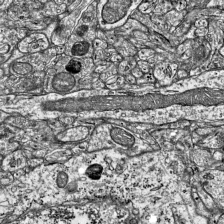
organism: Mouse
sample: Visual Cortex